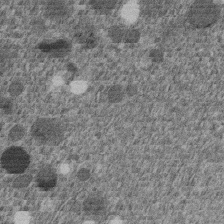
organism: C. elegans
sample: C. elegans embryo early stage